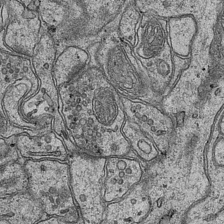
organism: Mouse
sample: CA1 Hippocampus